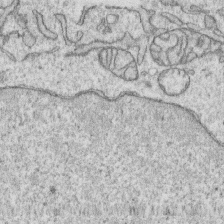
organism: Human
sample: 1205lu cells